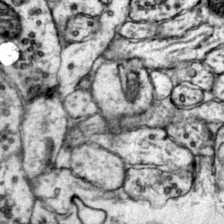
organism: Mouse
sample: Primary visual cortex